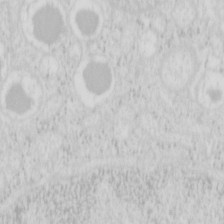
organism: Mouse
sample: Pancreas